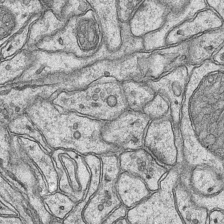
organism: Mouse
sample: CA1 Hippocampus